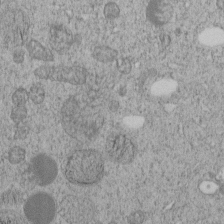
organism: C. elegans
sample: C. elegans embryo early stage